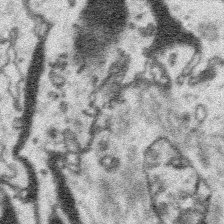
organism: Platynereis dumerilii